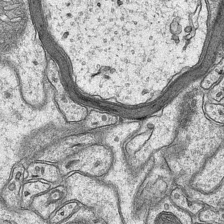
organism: Mouse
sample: CA1 Hippocampus